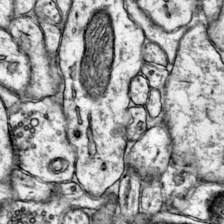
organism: Mouse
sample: Primary visual cortex